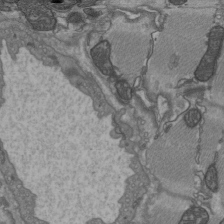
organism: C57BL Mouse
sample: Heart